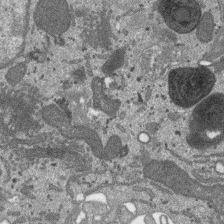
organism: Human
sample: Lung epithelial cells infected with SARS-CoV-2